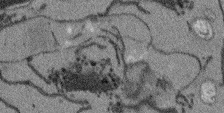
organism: Arabidopsis thaliana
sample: Root tip